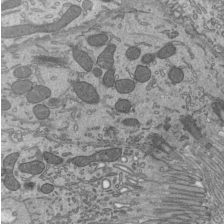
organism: Mouse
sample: Mouse epididymis efferent ductule cilia